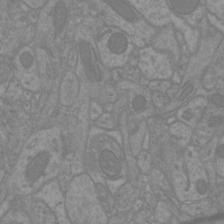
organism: Mouse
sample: Cortical neurons